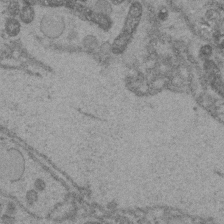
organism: C. elegans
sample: C. elegans embryo early stage